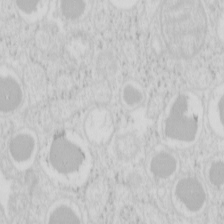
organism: Mouse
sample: Pancreas